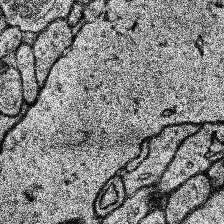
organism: Human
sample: Temporal Lobe